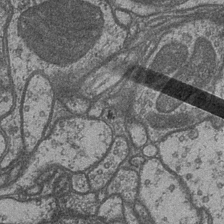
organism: Drosophila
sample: Optic medulla